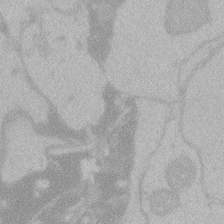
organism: Zebrafish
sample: Macrophage infected with Toxoplasma gondii